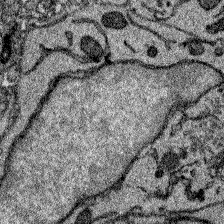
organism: Zebrafish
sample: Larval olfactory bulb